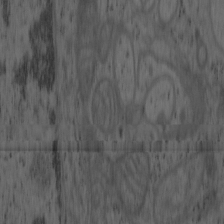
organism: Human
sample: HeLa cells